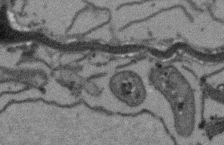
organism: Arabidopsis thaliana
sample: Root tip